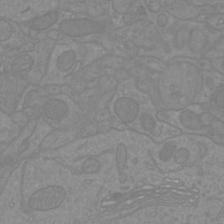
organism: Mouse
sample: Cortical neurons